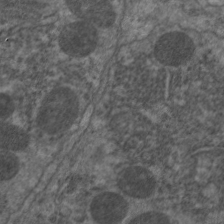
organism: C. elegans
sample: Pharynx